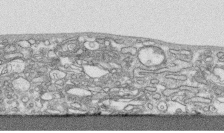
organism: Human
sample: CRL-1474